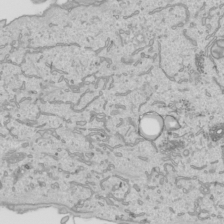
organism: Human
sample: Mitochondria in HCT116 cells